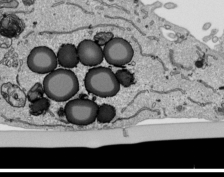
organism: Human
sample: Mitochondria in HCT116 cells